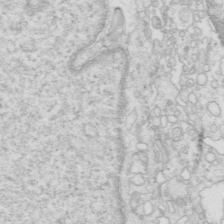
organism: Mouse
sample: Multiciliated cells